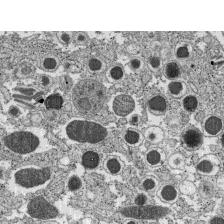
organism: C57BL Mouse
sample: Pancreatic islet